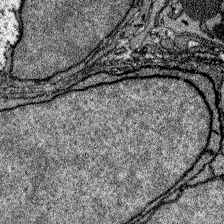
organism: Zebrafish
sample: Larval olfactory bulb